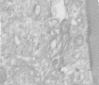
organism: Human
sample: Centriole in RPE cells